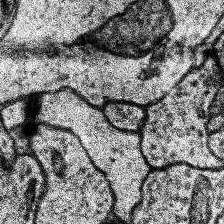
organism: Human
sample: Temporal Lobe